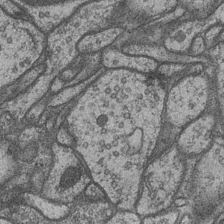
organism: Drosophila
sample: Optic medulla